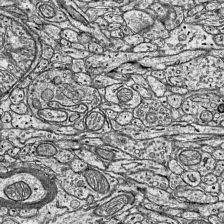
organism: Mouse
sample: Visual Cortex